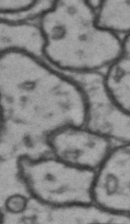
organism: Drosophila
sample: Brain